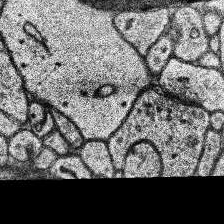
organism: Human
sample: Temporal Lobe